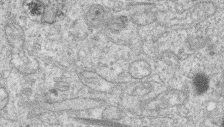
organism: Human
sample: HeLa cell HIV synapse